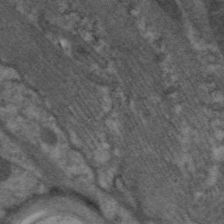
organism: C. elegans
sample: Pharynx